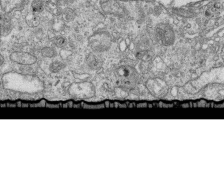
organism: Human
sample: HeLa cell HIV synapse